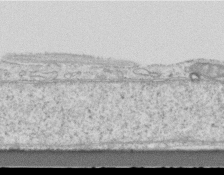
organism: Mouse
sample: Centriole in ependymal cells